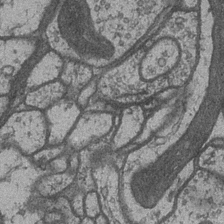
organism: Drosophila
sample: Optic medulla